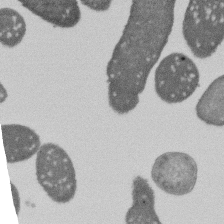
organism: E. coli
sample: Bacterial nucleoid